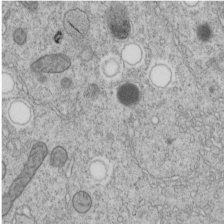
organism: C. elegans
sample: C. elegans embryo early stage